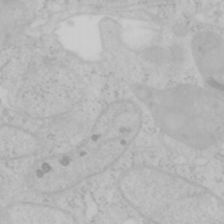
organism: Mouse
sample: OT-I killer T cells with ID8 ovarian cancer cells